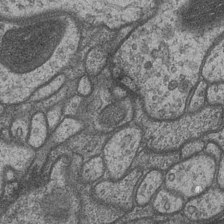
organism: Drosophila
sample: Optic medulla